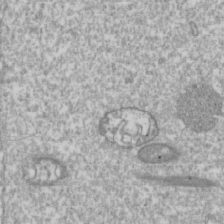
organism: Drosophila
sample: Cell division; meiosis; drosophila spermatocytes